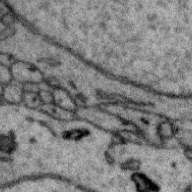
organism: Zebra finch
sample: Brain